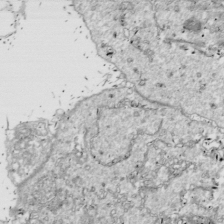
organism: Drosophila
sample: Cell division; meiosis; drosophila spermatocytes